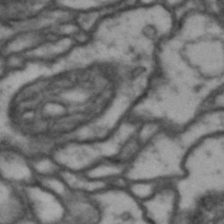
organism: Drosophila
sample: Brain